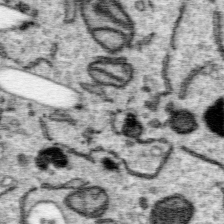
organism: Human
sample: HeLa cells